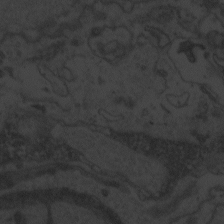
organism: Zebrafish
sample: Macrophage infected with Toxoplasma gondii